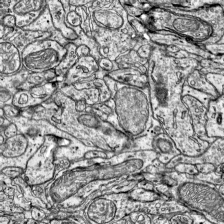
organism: Mouse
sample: Visual Cortex